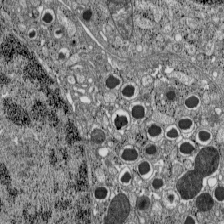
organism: C57BL Mouse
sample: Pancreatic islet